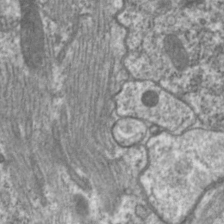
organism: C. elegans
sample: Pharynx